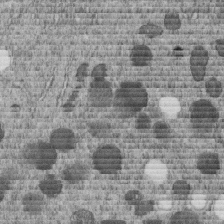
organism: C. elegans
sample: C. elegans embryo early stage